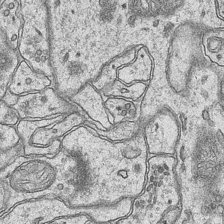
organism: Mouse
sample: CA1 Hippocampus